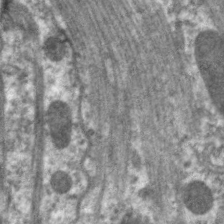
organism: C. elegans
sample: Pharynx